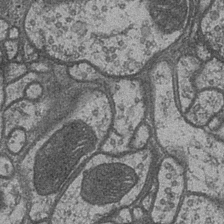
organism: Drosophila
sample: Optic medulla